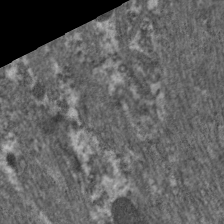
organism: C. elegans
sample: Pharynx